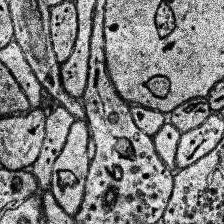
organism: Human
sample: Temporal Lobe